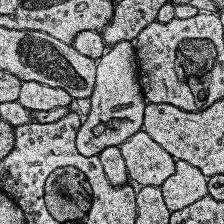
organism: Human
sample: Temporal Lobe